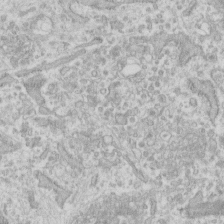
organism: Human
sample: Fibroblast cells